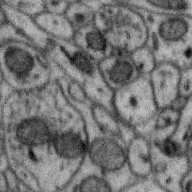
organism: Zebra finch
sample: Brain